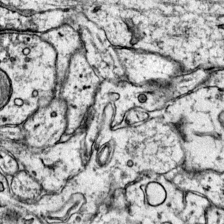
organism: Mouse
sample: Primary visual cortex